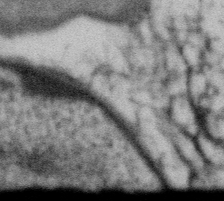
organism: Gemmata obscuriglobus